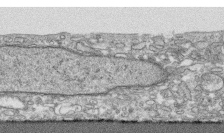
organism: Human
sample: CRL-1474